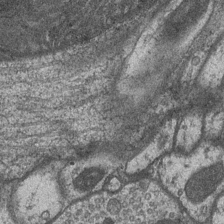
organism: Drosophila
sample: Optic medulla